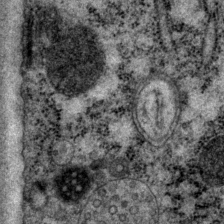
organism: P. pacificus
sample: Pharynx